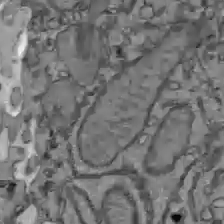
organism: C57BL Mouse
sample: Liver